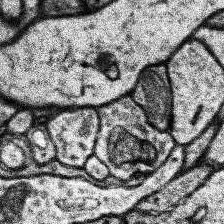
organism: Human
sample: Temporal Lobe